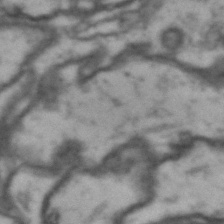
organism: Drosophila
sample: Brain